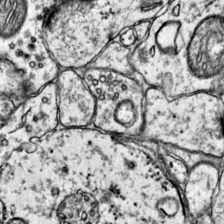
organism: Mouse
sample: Primary visual cortex